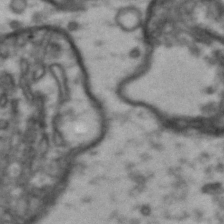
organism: Drosophila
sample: Brain